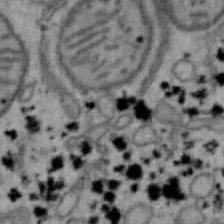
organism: Mouse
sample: Liver